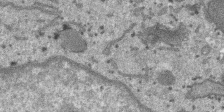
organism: Human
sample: Lung epithelial cells infected with SARS-CoV-2